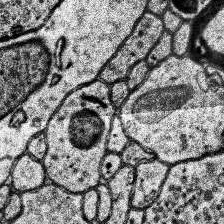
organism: Human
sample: Temporal Lobe